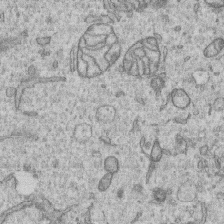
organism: Human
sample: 1205lu cells